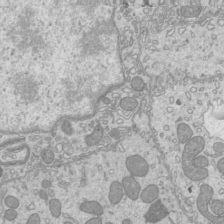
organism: Mouse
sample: Cilia; mouse epididymis